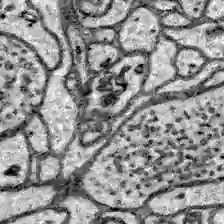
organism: Zebrafish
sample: Brain